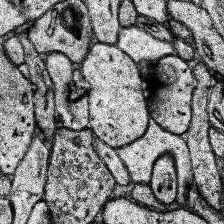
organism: Human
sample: Temporal Lobe